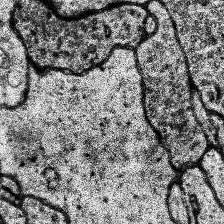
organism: Human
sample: Temporal Lobe